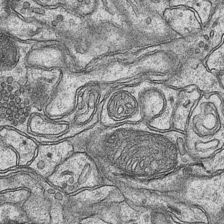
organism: Mouse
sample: CA1 Hippocampus